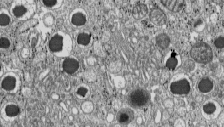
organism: C57BL Mouse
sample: Pancreatic islet